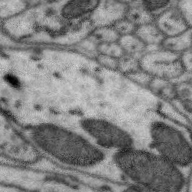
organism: Zebra finch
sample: Brain